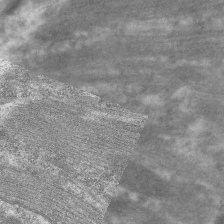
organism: C. elegans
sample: Pharynx